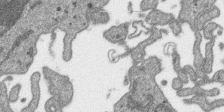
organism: Human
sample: Lung epithelial cells infected with SARS-CoV-2